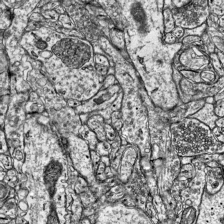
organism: Mouse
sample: Visual Cortex